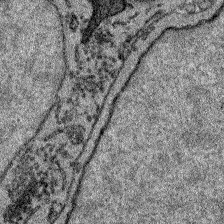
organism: Zebrafish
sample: Larval olfactory bulb